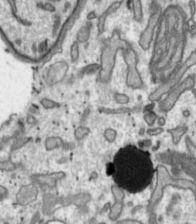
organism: Toxoplasma gondii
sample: Parasites in a vacuole inside a host cell